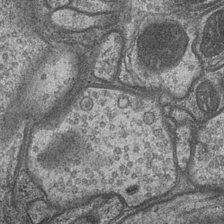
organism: Drosophila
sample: Optic medulla